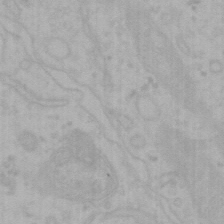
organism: Mouse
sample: Choroid plexus